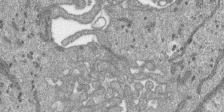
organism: Human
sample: Lung epithelial cells infected with SARS-CoV-2